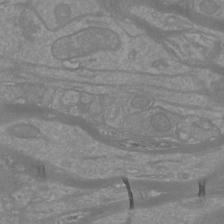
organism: Mouse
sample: Cortical neurons